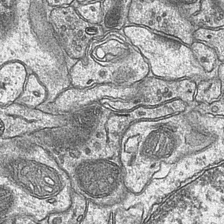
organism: Mouse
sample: CA1 Hippocampus